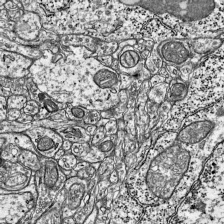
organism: Mouse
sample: Visual Cortex